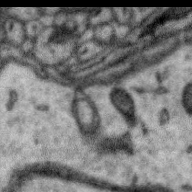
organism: Zebra finch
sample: Brain